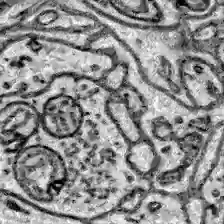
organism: Zebrafish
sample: Brain